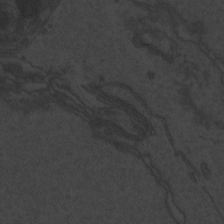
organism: Zebrafish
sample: Macrophage infected with Toxoplasma gondii